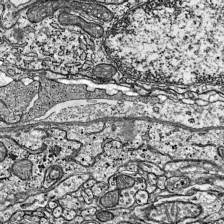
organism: Mouse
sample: Visual Cortex